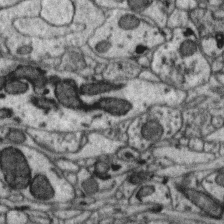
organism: Zebra finch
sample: Brain